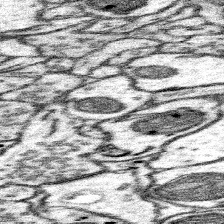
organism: Mouse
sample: Somatosensory cortex neuropil